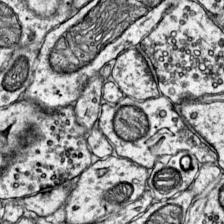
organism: Mouse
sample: Primary visual cortex